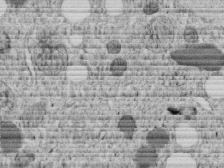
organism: C. elegans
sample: C. elegans embryo early stage